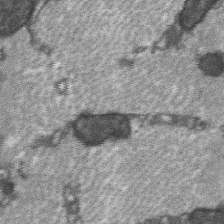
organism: C57BL Mouse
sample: Soleus